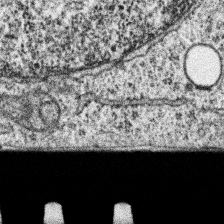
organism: Human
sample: HeLa cells